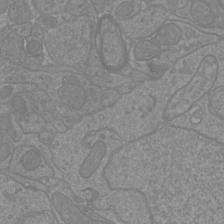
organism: Mouse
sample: Cortical neurons